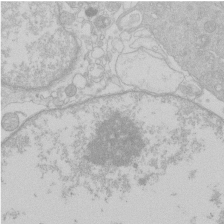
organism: Human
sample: Macrophage cells